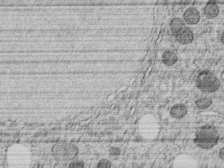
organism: C. elegans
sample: C. elegans embryo early stage